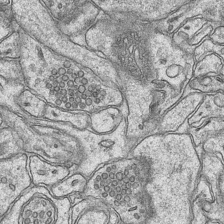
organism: Mouse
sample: CA1 Hippocampus